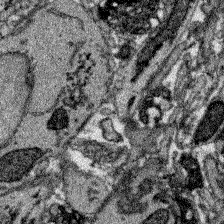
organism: Zebrafish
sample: Larval olfactory bulb